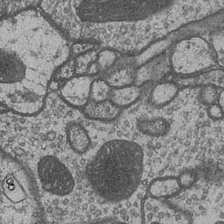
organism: Drosophila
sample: Optic medulla